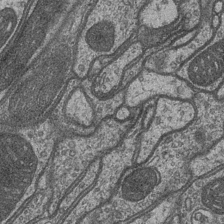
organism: Drosophila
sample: Optic medulla